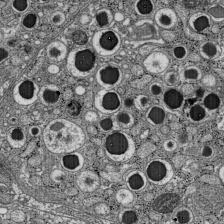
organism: C57BL Mouse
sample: Pancreatic islet